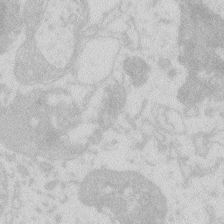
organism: Zebrafish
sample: Macrophage